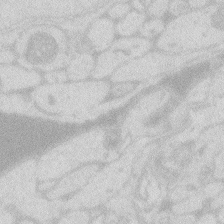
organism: Zebrafish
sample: Macrophage